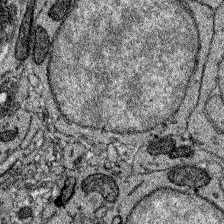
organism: Zebrafish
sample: Larval olfactory bulb